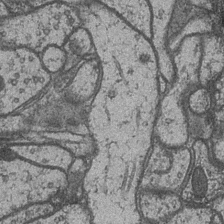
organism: Drosophila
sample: Optic medulla